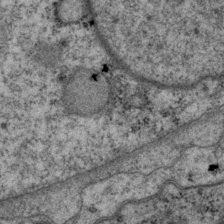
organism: P. pacificus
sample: Pharynx